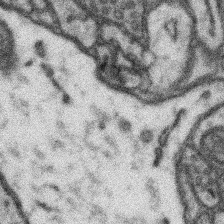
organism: Mouse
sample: Somatosensory cortex neuropil